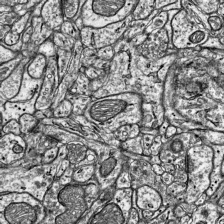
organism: Mouse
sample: Visual Cortex